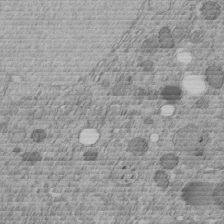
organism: C. elegans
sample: C. elegans embryo early stage